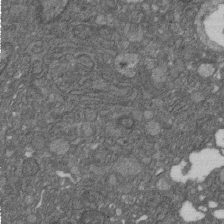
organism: Drosophila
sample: Nephrocyte